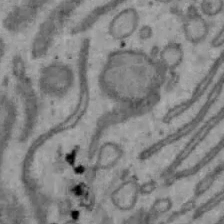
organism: Mouse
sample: Liver